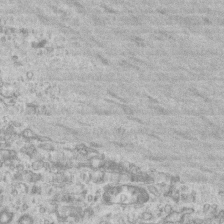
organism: Mouse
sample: Centriole in ependymal cells